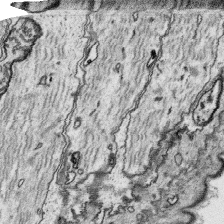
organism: Platynereis dumerilii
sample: Parapodia